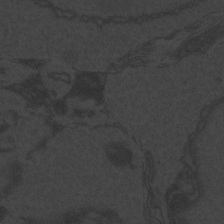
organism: Zebrafish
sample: Macrophage infected with Toxoplasma gondii